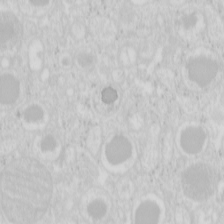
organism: Mouse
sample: Pancreas